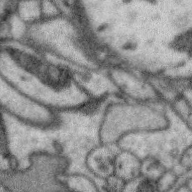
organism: Zebra finch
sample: Brain